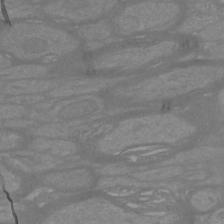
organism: Mouse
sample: Cortical neurons